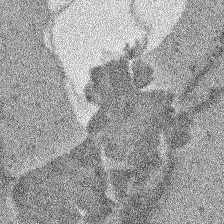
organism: Human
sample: HeLa cells